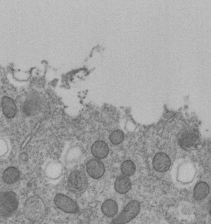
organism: C. elegans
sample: C. elegans embryo early stage